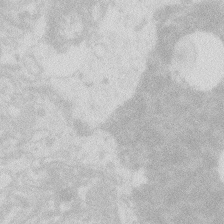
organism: Zebrafish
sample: Macrophage